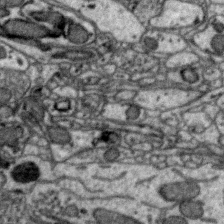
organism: Zebra finch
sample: Brain